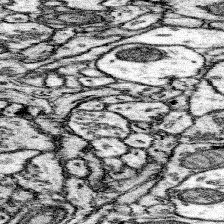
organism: Mouse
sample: Somatosensory cortex neuropil